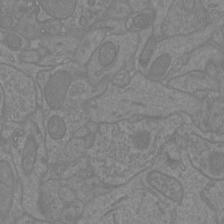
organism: Mouse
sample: Cortical neurons